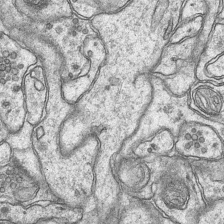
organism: Mouse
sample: CA1 Hippocampus